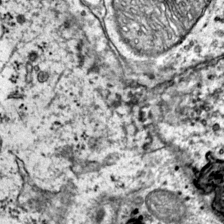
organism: Mouse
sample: Primary visual cortex